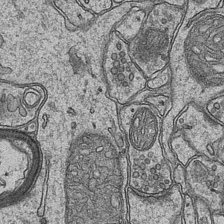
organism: Mouse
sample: CA1 Hippocampus